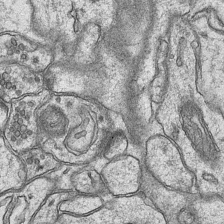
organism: Mouse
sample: CA1 Hippocampus